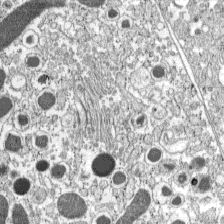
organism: C57BL Mouse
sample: Pancreatic islet